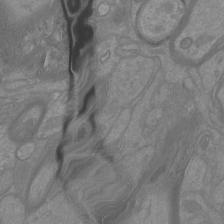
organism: Mouse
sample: Cortical neurons